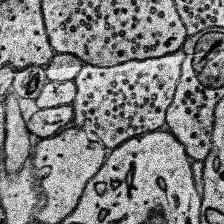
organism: Human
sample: Temporal Lobe